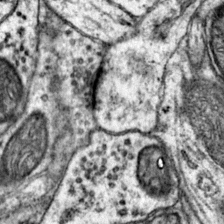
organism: Mouse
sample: Primary visual cortex